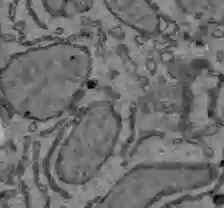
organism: C57BL Mouse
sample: Liver